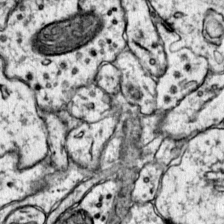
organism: Mouse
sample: Primary visual cortex